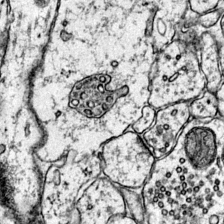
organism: Mouse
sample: Primary visual cortex